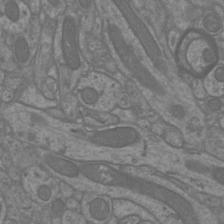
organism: Mouse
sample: Cortical neurons